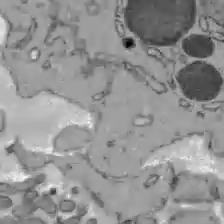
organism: C57BL Mouse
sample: Liver